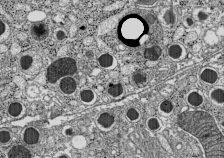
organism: C57BL Mouse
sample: Pancreatic islet